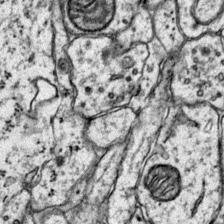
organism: Mouse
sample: Primary visual cortex